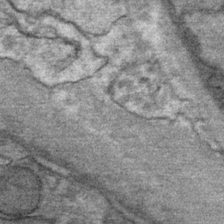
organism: Mouse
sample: Mouse Salivary gland